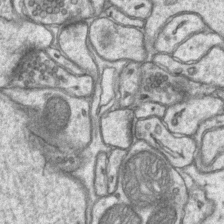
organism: Mouse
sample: CA1 Hippocampus